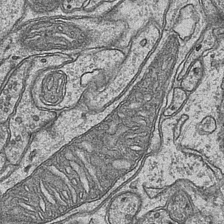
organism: Mouse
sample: CA1 Hippocampus